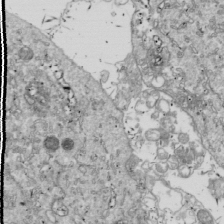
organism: Drosophila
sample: Cell division; meiosis; drosophila spermatocytes